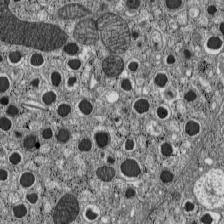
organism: C57BL Mouse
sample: Pancreatic islet